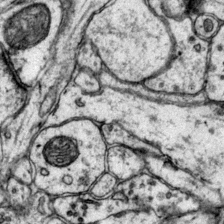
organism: Mouse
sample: Primary visual cortex